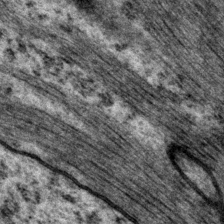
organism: P. pacificus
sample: Pharynx